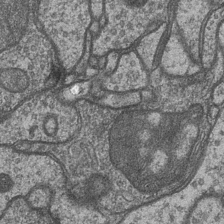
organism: Drosophila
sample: Optic medulla